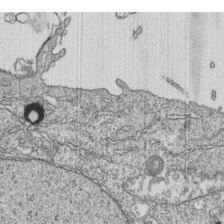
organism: Human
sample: HeLa cell HIV synapse